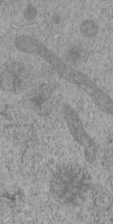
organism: C. elegans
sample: C. elegans embryo early stage